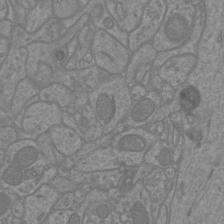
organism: Mouse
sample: Cortical neurons